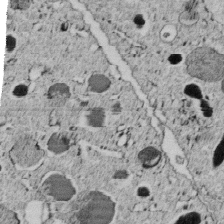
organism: C. elegans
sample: C. elegans embryo early stage